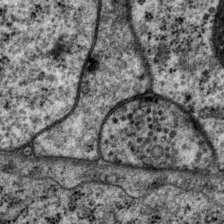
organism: P. pacificus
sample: Pharynx